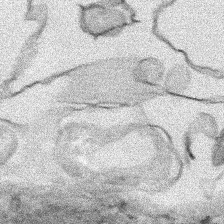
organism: Human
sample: Mitochondria in HCT116 cells